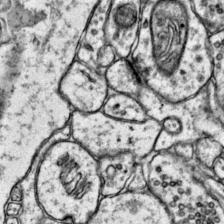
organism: Mouse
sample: Primary visual cortex